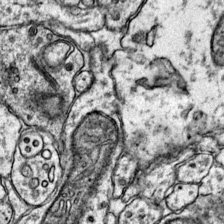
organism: Mouse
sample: Primary visual cortex